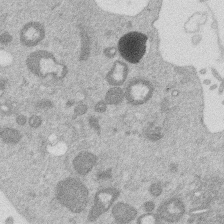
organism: Mouse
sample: Dividing mouse embryo 1 cell stage